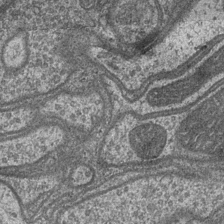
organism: Drosophila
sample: Optic medulla